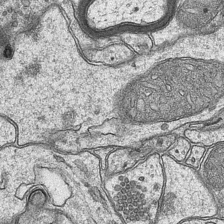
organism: Mouse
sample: CA1 Hippocampus